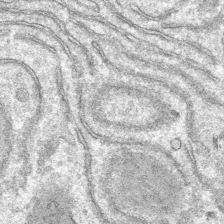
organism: Mouse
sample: Mouse hepatocytes